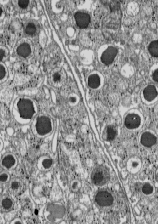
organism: C57BL Mouse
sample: Pancreatic islet